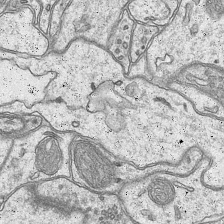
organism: Mouse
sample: CA1 Hippocampus